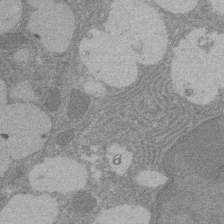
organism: Rat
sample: Salivary granule